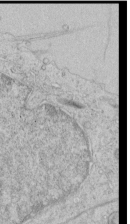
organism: Human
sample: Mitochondria in HCT116 cells